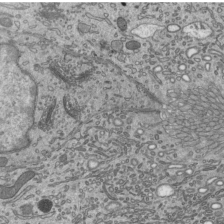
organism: Mouse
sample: Mouse epididymis efferent ductule cilia